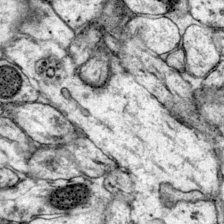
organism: Mouse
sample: Primary visual cortex